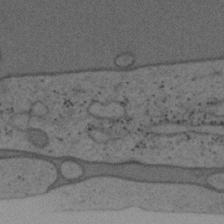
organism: Human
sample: HeLa cells